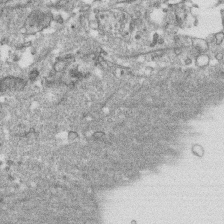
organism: Human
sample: CRL-1474